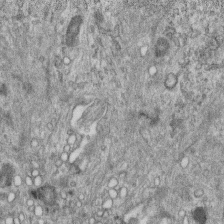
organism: Mouse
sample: Centriole in ependymal cells